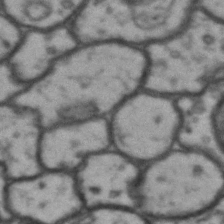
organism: Drosophila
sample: Brain